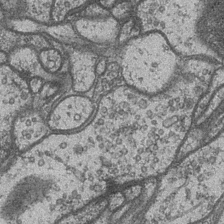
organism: Drosophila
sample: Optic medulla